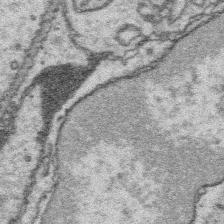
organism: Platynereis dumerilii